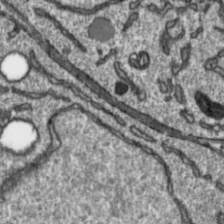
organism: Toxoplasma gondii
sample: Parasites in a vacuole inside a host cell